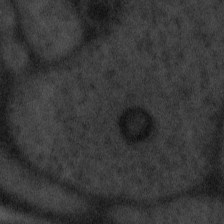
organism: Tuwongella immobilis